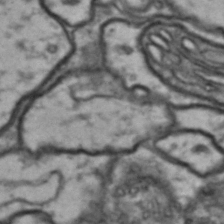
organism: Drosophila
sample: Brain